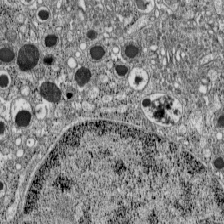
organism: C57BL Mouse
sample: Pancreatic islet